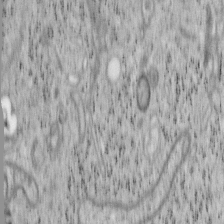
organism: Human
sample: HeLa cells